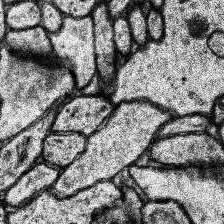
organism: Human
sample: Temporal Lobe